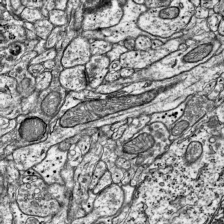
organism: Mouse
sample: Visual Cortex